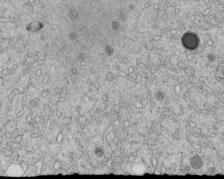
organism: C. elegans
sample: C. elegans embryo early stage